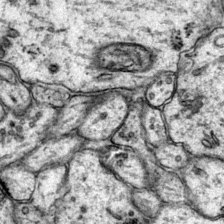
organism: Mouse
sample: Primary visual cortex